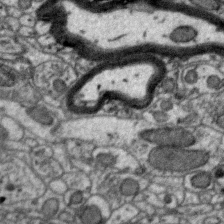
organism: Zebra finch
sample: Brain